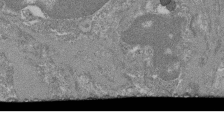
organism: Mouse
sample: Glomerulus